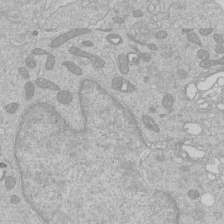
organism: Human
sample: Macrophage cells